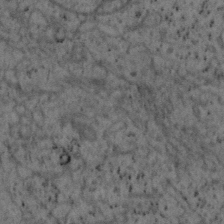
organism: Human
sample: HeLa cells